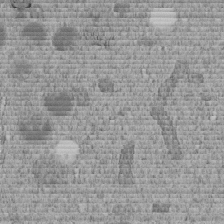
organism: C. elegans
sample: C. elegans embryo early stage